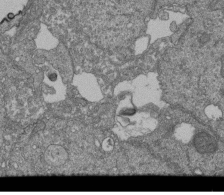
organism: Human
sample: Retinal organoid Rod and Cone cells